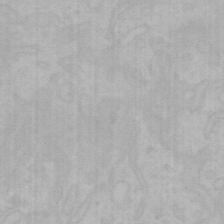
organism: Mouse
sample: Choroid plexus